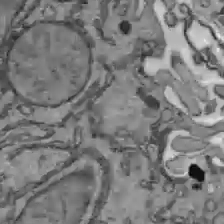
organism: C57BL Mouse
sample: Liver